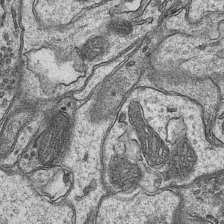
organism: Mouse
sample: CA1 Hippocampus